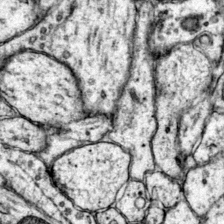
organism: Mouse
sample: Primary visual cortex